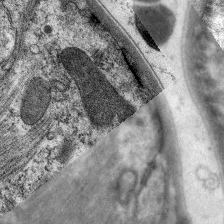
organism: C. elegans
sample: Pharynx